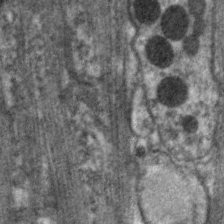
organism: C. elegans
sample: Pharynx